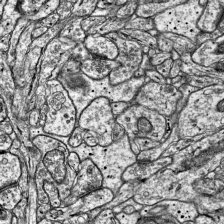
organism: Mouse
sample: Visual Cortex